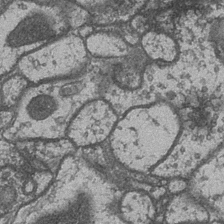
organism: Drosophila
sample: Optic medulla